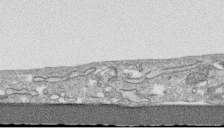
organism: Human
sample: CRL-1474